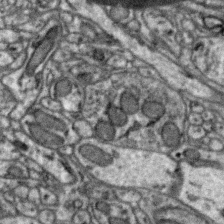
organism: Zebra finch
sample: Brain